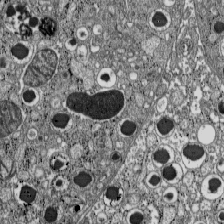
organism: C57BL Mouse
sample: Pancreatic islet